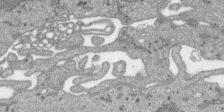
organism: Human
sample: Lung epithelial cells infected with SARS-CoV-2